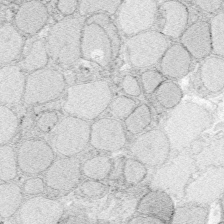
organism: Zebrafish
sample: Whole-Brain